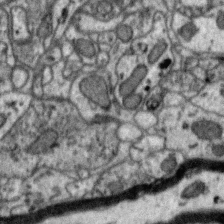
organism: Zebra finch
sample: Brain